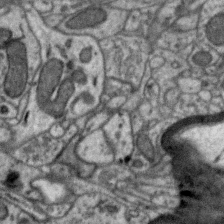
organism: Zebra finch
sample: Brain